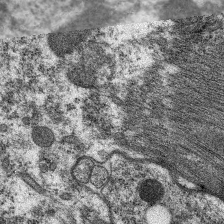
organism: C. elegans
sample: Pharynx